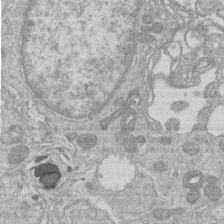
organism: Human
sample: Macrophage cells